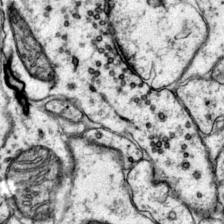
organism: Mouse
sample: Primary visual cortex